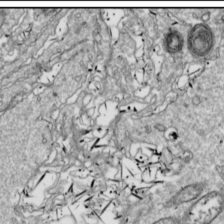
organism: Drosophila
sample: Cell division; meiosis; drosophila spermatocytes